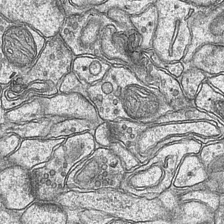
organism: Mouse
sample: CA1 Hippocampus